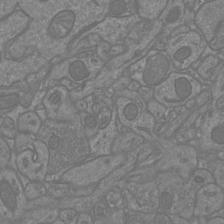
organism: Mouse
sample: Cortical neurons